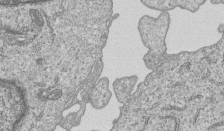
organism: Human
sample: MDA-MB-231 cells